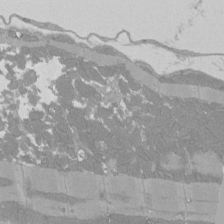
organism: Rat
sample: Left ventricle